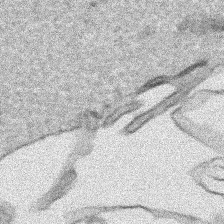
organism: Human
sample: Mitochondria in HCT116 cells